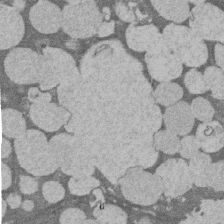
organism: Rat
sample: Salivary granule